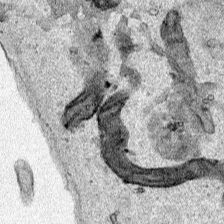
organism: Human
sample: Mitochondria in HCT116 cells